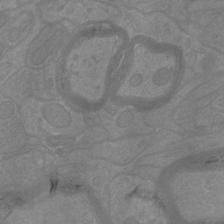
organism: Mouse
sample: Cortical neurons